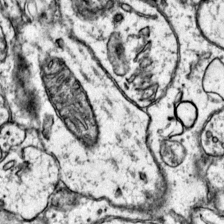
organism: Mouse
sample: Primary visual cortex